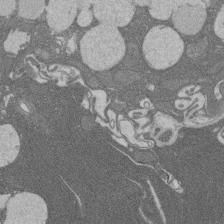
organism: Rat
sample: Salivary granule